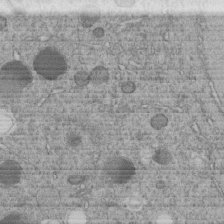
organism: C. elegans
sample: C. elegans embryo early stage